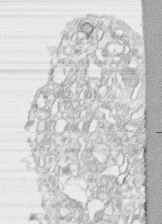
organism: Human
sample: CRL-1474